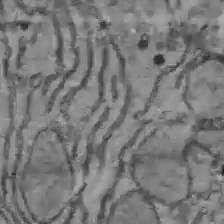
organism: C57BL Mouse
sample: Liver